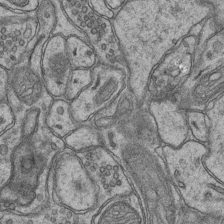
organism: Mouse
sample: CA1 Hippocampus